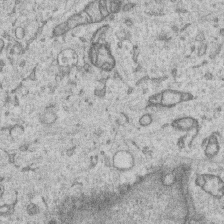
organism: Human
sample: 1205lu cells